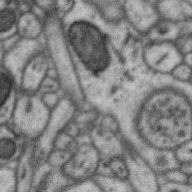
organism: Zebra finch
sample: Brain